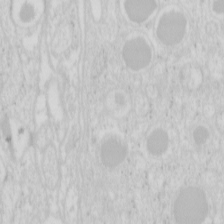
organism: Mouse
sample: Pancreas